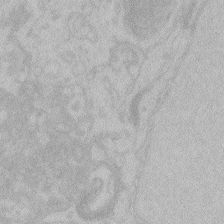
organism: Zebrafish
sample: Macrophage infected with Toxoplasma gondii